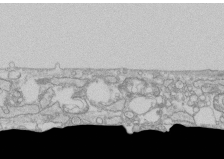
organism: Human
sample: CRL-1474